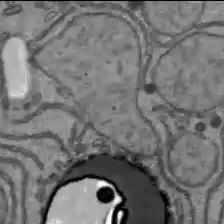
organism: C57BL Mouse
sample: Liver